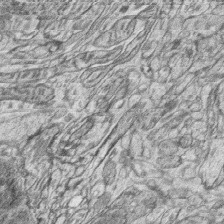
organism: Zebrafish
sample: synaptic ribbons in rod cells and cone cells